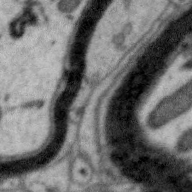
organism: Zebra finch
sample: Brain